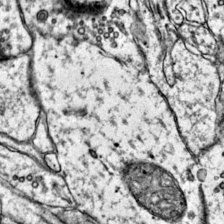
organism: Mouse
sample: Primary visual cortex